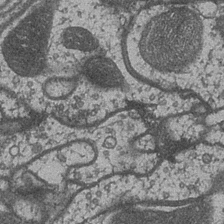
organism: Drosophila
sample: Optic medulla